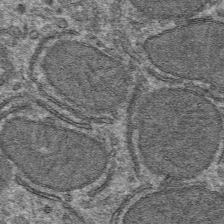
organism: Mouse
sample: Mouse hepatocytes